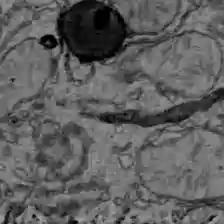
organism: C57BL Mouse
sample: Liver